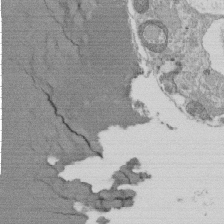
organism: Tetrahymena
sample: Cilia in tetrahymena